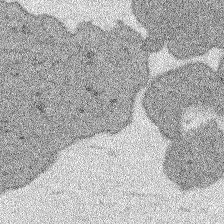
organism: Human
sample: HeLa cells